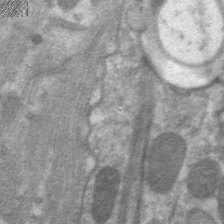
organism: C. elegans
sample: Pharynx